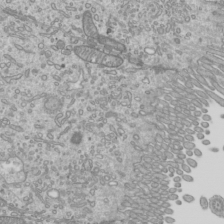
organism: Mouse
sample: Cilia; mouse epididymis